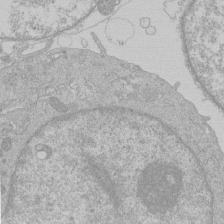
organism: Human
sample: Macrophage cells